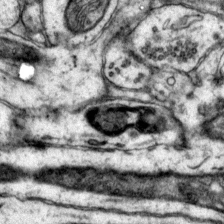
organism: Mouse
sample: Primary visual cortex